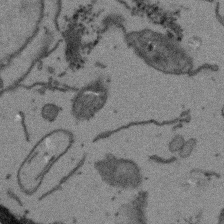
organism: Arabidopsis thaliana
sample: Root tip